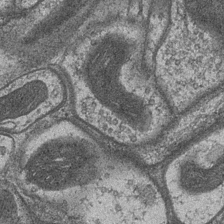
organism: Drosophila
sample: Optic medulla